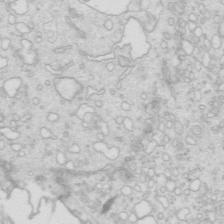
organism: Mouse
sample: Multiciliated cells